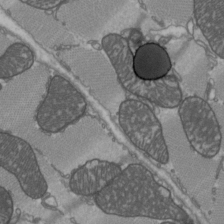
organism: C57BL Mouse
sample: Heart